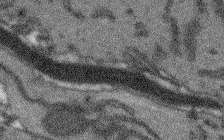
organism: Arabidopsis thaliana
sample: Root tip